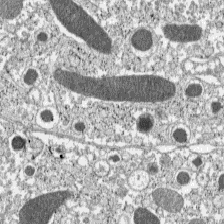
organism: C57BL Mouse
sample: Pancreatic islet